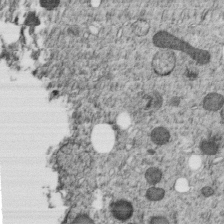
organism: C. elegans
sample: C. elegans embryo early stage